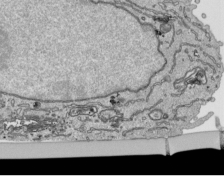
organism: Human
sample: Mitochondria in HCT116 cells